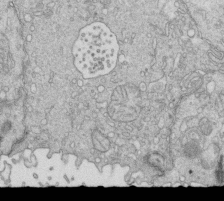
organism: Mouse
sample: Multiciliated cells